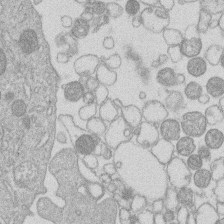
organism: Human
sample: Macrophage cells